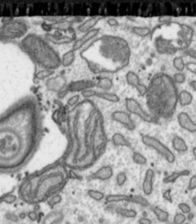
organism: Toxoplasma gondii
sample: Parasites in a vacuole inside a host cell